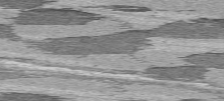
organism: C57BL Mouse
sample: Heart